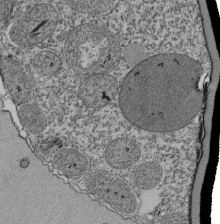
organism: Tetrahymena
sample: Cilia in tetrahymena